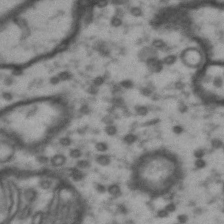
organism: Drosophila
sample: Brain